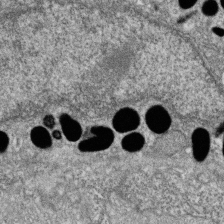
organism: Zebrafish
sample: Cilia; retinal pigment epithelium